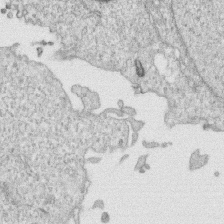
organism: Human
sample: HeLa cell HIV synapse